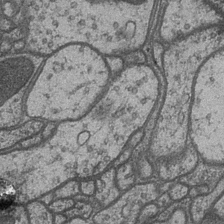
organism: Drosophila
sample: Optic medulla